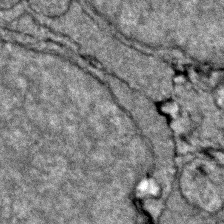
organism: Zebrafish